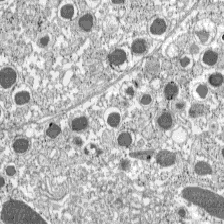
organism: C57BL Mouse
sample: Pancreatic islet